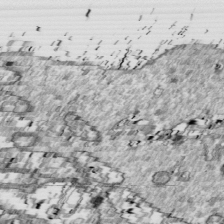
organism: Drosophila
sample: Cell division; meiosis; drosophila spermatocytes